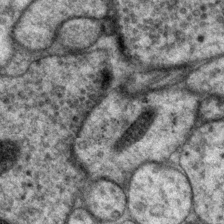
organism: P. pacificus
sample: Pharynx